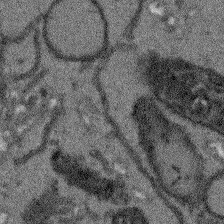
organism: Arabidopsis thaliana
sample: Root tip